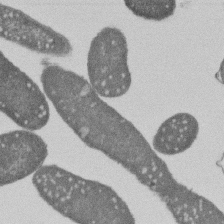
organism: E. coli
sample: Bacterial nucleoid